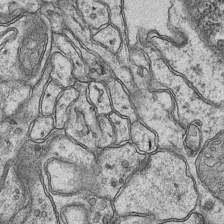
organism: Mouse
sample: CA1 Hippocampus